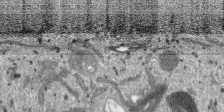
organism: Human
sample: Lung epithelial cells infected with SARS-CoV-2